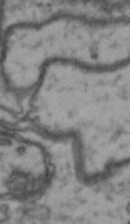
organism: Drosophila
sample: Brain